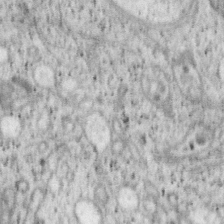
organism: Mouse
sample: OT-I killer T cells with ID8 ovarian cancer cells